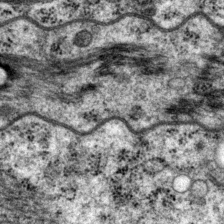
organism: P. pacificus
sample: Pharynx